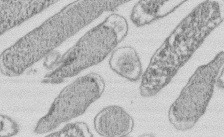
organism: E. coli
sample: Bacterial nucleoid